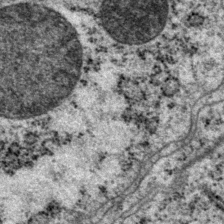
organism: P. pacificus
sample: Pharynx